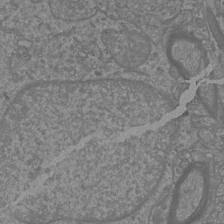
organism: Mouse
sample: Cortical neurons